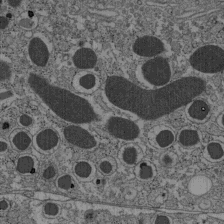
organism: C57BL Mouse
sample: Pancreatic islet